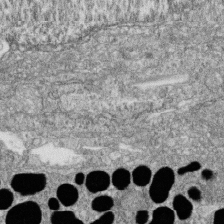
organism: Zebrafish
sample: Cilia; retinal pigment epithelium